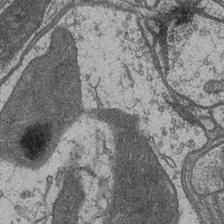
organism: Drosophila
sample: Optic medulla